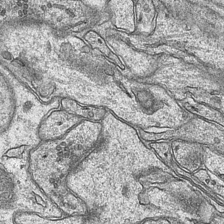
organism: Mouse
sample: CA1 Hippocampus